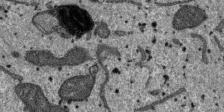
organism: Human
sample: Lung epithelial cells, uninfected (mock) control